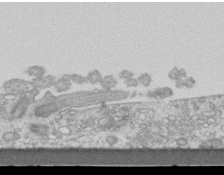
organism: Mouse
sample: Centriole in ependymal cells